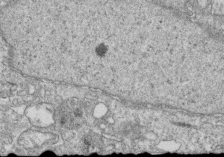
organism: Human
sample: HeLa cell HIV synapse